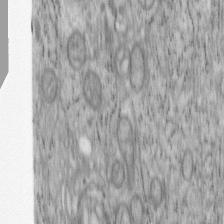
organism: Human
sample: HeLa cells